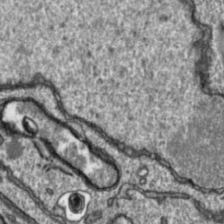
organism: Toxoplasma gondii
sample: Parasites in a vacuole inside a host cell